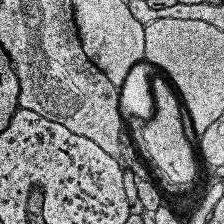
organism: Human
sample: Temporal Lobe